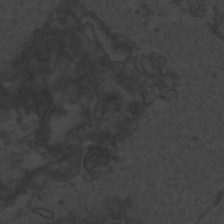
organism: Zebrafish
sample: Macrophage infected with Toxoplasma gondii